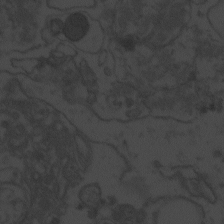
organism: Zebrafish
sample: Macrophage infected with Toxoplasma gondii